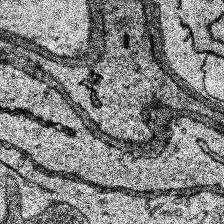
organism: Human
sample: Temporal Lobe